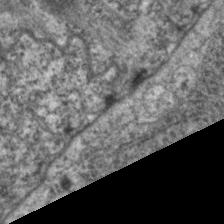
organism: C. elegans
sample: Pharynx